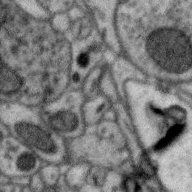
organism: Zebra finch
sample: Brain